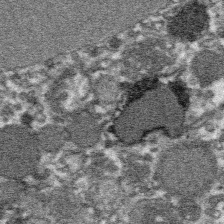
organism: Platynereis dumerilii